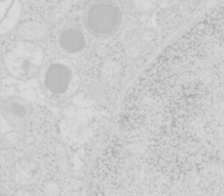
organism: Mouse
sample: Pancreas